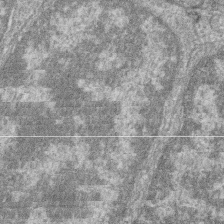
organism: Zebrafish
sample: Cilia; retinal pigment epithelium